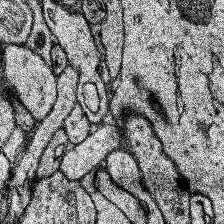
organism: Human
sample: Temporal Lobe